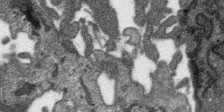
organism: Human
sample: Lung epithelial cells infected with SARS-CoV-2